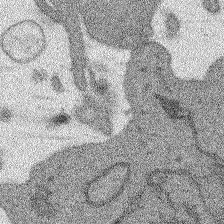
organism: Human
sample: HeLa cells